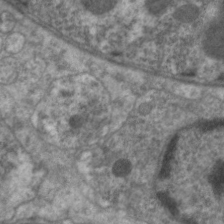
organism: C. elegans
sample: Pharynx